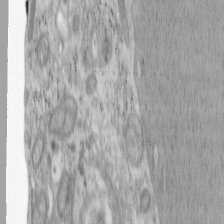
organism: Human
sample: HeLa cells